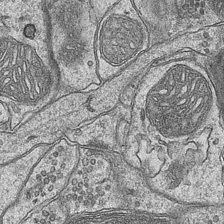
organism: Mouse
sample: CA1 Hippocampus